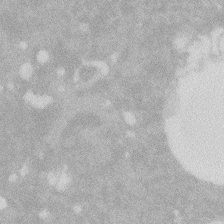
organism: Zebrafish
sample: Macrophage